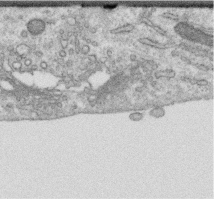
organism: Human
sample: Centriole in RPE cells